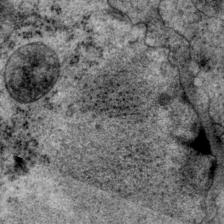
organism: P. pacificus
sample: Pharynx